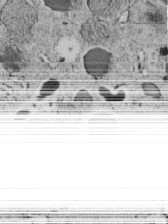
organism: C. elegans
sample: C. elegans embryo early stage